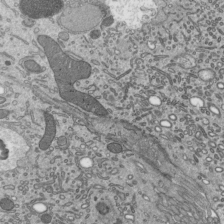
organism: Mouse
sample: Mouse epididymis efferent ductule cilia